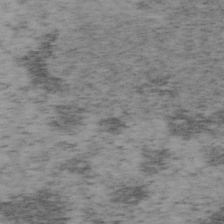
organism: Mouse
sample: OT-I killer T cells with ID8 ovarian cancer cells